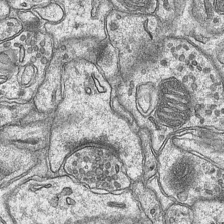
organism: Mouse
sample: CA1 Hippocampus